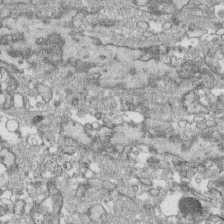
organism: Human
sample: CRL-1474